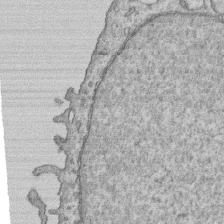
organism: Human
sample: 1205lu cells